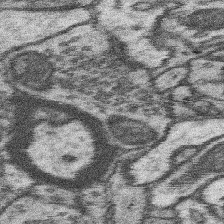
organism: Mouse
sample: Somatosensory cortex neuropil